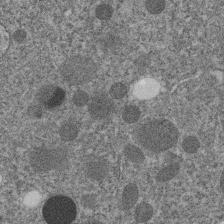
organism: C. elegans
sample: C. elegans embryo early stage